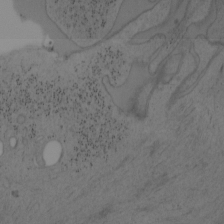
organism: Mouse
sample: OT-I killer T cells with ID8 ovarian cancer cells